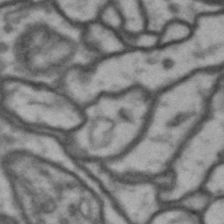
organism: Drosophila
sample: Brain